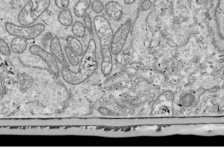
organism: Drosophila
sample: Cell division; meiosis; drosophila spermatocytes